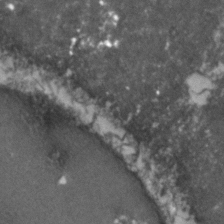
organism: Zebrafish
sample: Zebrafish embryo